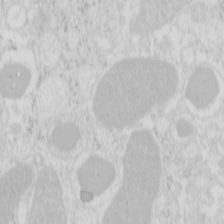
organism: Mouse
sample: Pancreas